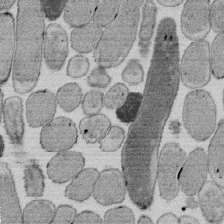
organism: E. coli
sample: Bacterial nucleoid